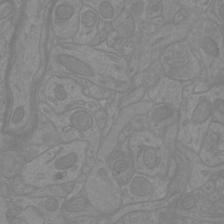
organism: Mouse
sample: Cortical neurons